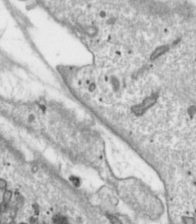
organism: Toxoplasma gondii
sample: Parasites in a vacuole inside a host cell